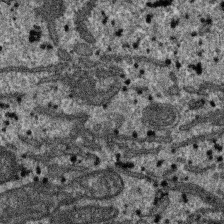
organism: Human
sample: Lung epithelial cells infected with SARS-CoV-2